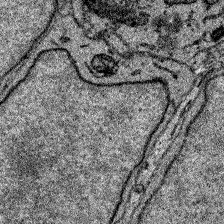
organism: Zebrafish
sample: Larval olfactory bulb